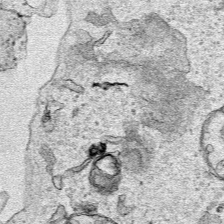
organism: Human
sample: Mitochondria in HCT116 cells